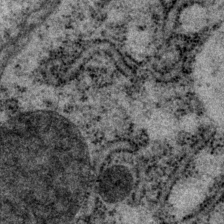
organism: P. pacificus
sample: Pharynx